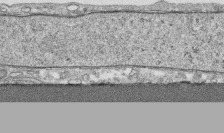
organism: Human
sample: CRL-1474